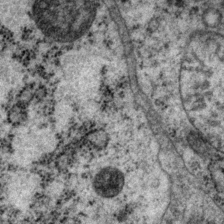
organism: P. pacificus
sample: Pharynx